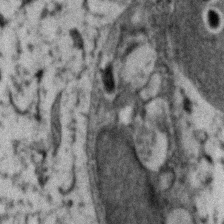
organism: Zebrafish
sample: Zebrafish embryo